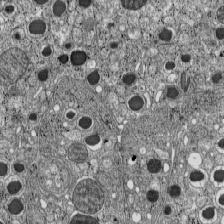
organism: C57BL Mouse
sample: Pancreatic islet